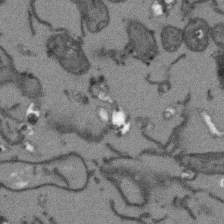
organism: Arabidopsis thaliana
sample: Root tip